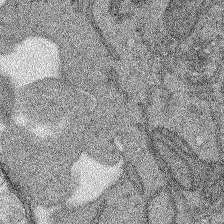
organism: Human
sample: HeLa cells